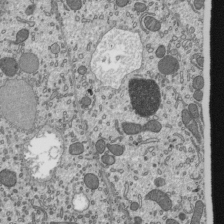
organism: Mouse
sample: Mouse epididymis efferent ductule cilia